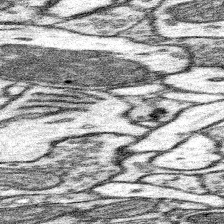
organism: Mouse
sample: Somatosensory cortex neuropil